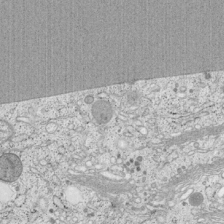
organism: African green monkey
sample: COS-7 cells